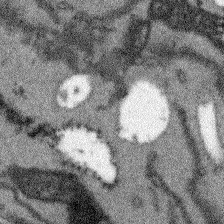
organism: Arabidopsis thaliana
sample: Root tip